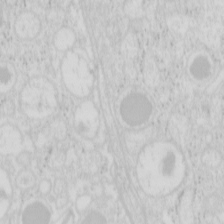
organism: Mouse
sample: Pancreas